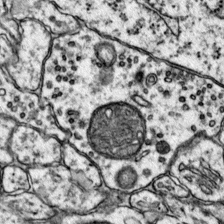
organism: Mouse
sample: Primary visual cortex